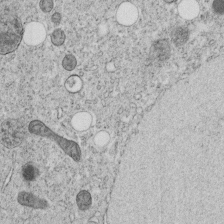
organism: C. elegans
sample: C. elegans embryo early stage